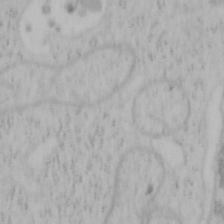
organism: Mouse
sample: OT-I killer T cells with ID8 ovarian cancer cells